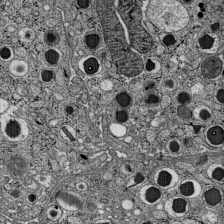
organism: C57BL Mouse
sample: Pancreatic islet